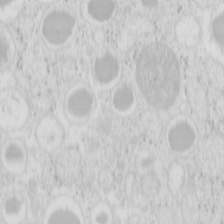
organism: Mouse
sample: Pancreas